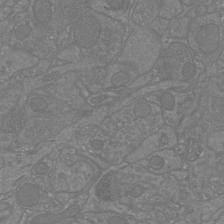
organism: Mouse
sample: Cortical neurons